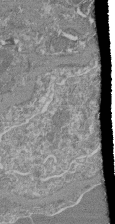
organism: Mouse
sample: Glomerulus